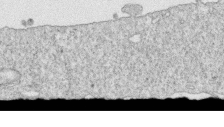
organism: Human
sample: HeLa cell HIV synapse